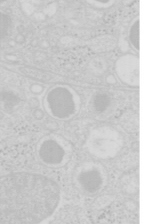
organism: Mouse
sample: Pancreas